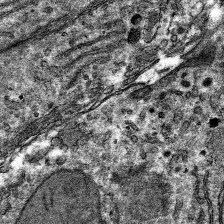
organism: Mouse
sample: Mouse hepatocytes